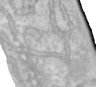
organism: Human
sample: Centriole in RPE cells